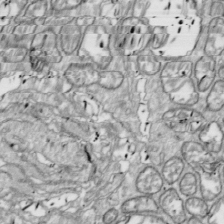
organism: Drosophila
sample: Cell division; meiosis; drosophila spermatocytes